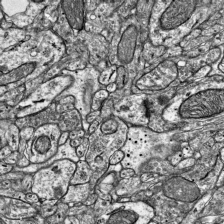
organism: Mouse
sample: Visual Cortex